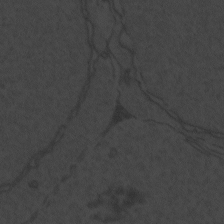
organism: Zebrafish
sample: Macrophage infected with Toxoplasma gondii